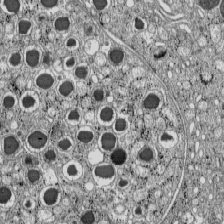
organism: C57BL Mouse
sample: Pancreatic islet